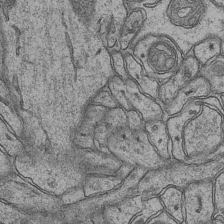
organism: Mouse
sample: CA1 Hippocampus